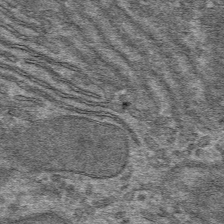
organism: Mouse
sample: Mouse hepatocytes